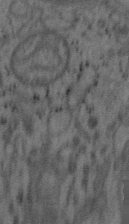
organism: Human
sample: HeLa cells